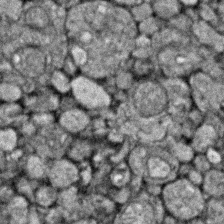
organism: Zebrafish